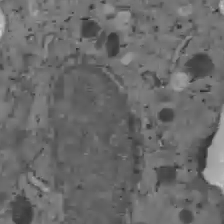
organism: C57BL Mouse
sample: Liver